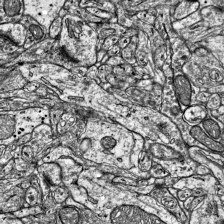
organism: Mouse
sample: Visual Cortex